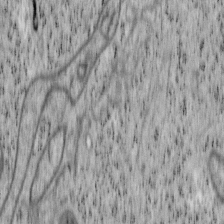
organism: Human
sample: HeLa cells